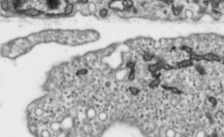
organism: Toxoplasma gondii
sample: Parasites in a vacuole inside a host cell